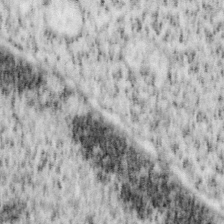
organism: Mouse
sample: OT-I killer T cells with ID8 ovarian cancer cells